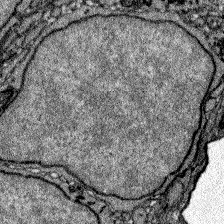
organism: Zebrafish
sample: Larval olfactory bulb